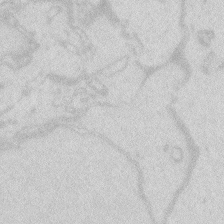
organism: Zebrafish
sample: Macrophage